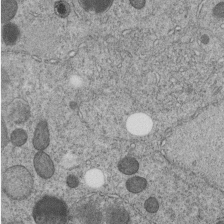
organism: C. elegans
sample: C. elegans embryo early stage